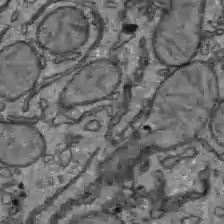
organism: C57BL Mouse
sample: Liver